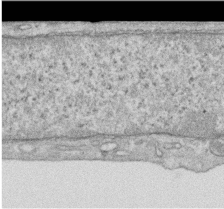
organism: Human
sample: Centriole in RPE cells